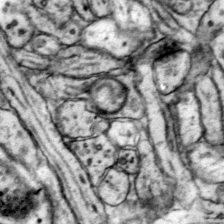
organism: Mouse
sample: Primary visual cortex